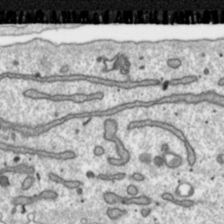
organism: Toxoplasma gondii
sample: Parasites in a vacuole inside a host cell